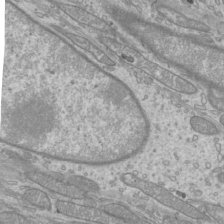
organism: Mouse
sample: Cilia; mouse epididymis